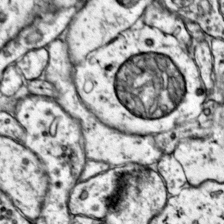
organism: Mouse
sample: Primary visual cortex